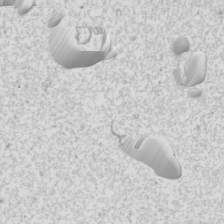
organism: Mouse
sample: Cilia; mouse epididymis